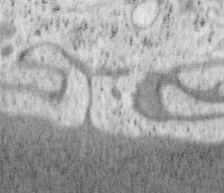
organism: Mouse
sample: OT-I killer T cells with ID8 ovarian cancer cells